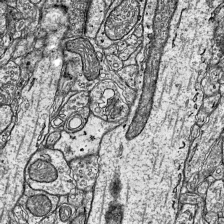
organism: Mouse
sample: Visual Cortex